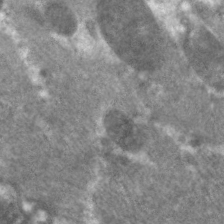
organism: C. elegans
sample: Pharynx